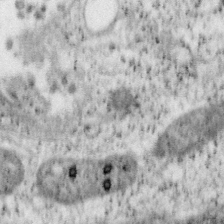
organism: Mouse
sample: OT-I killer T cells with ID8 ovarian cancer cells